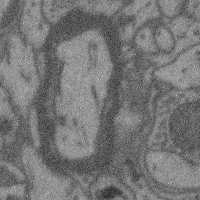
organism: Mouse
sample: Cerebral cortex